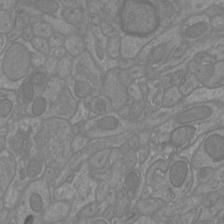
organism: Mouse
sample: Cortical neurons